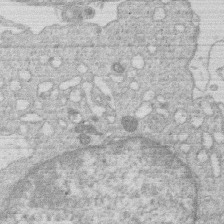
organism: Human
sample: Macrophage cells